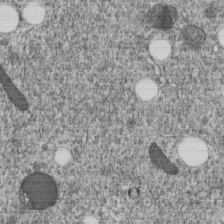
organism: C. elegans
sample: C. elegans embryo early stage